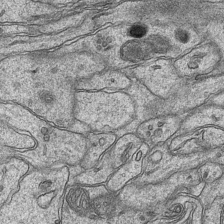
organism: Mouse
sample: CA1 Hippocampus